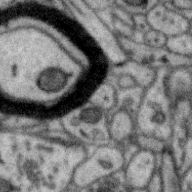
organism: Zebra finch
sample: Brain